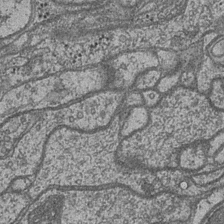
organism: Drosophila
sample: Optic medulla